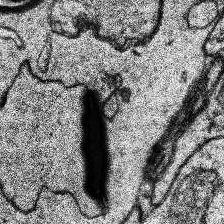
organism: Human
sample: Temporal Lobe